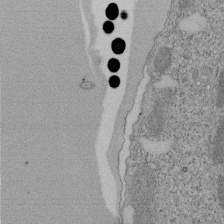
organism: Tetrahymena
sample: Cilia in tetrahymena